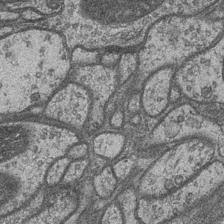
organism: Drosophila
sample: Optic medulla